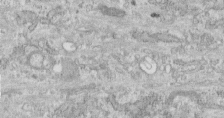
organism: Human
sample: Centriole in fibroblast cells